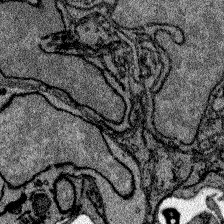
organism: Zebrafish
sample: Larval olfactory bulb